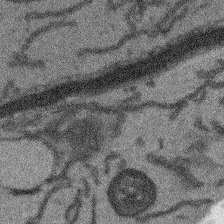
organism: Arabidopsis thaliana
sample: Root tip